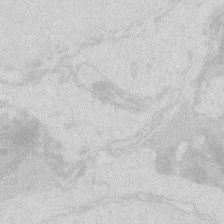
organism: Zebrafish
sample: Macrophage